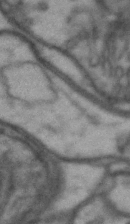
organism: Drosophila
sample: Brain